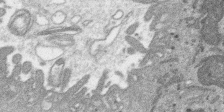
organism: Human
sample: Lung epithelial cells infected with SARS-CoV-2